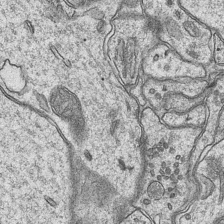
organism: Mouse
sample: CA1 Hippocampus